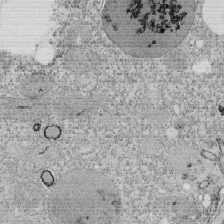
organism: Tetrahymena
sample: Cilia in tetrahymena